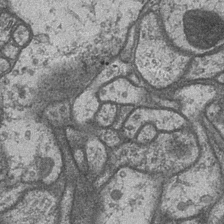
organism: Drosophila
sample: Optic medulla